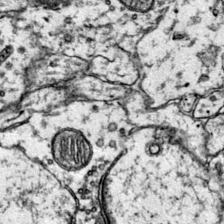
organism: Mouse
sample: Primary visual cortex